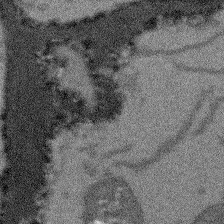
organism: Arabidopsis thaliana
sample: Root tip